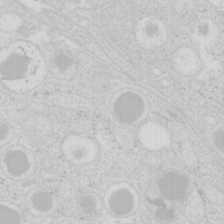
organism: Mouse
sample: Pancreas